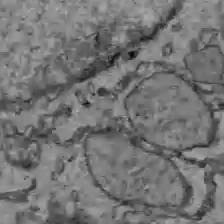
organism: C57BL Mouse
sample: Liver